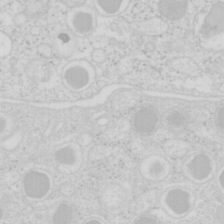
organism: Mouse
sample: Pancreas